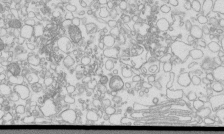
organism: Mouse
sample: Macrophages